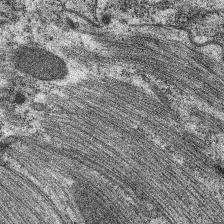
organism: C. elegans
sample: Pharynx